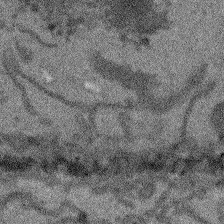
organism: Arabidopsis thaliana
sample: Root tip